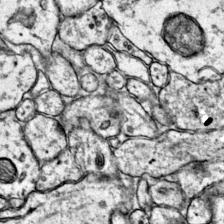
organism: Mouse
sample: Primary visual cortex